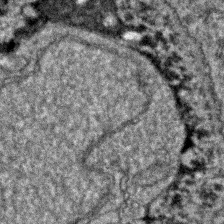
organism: Zebrafish